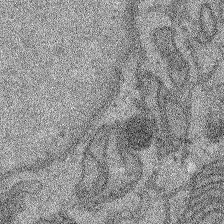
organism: Human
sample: HeLa cells